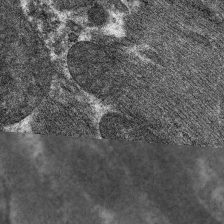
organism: C. elegans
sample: Pharynx